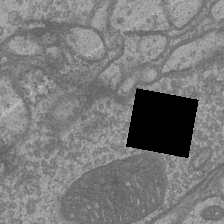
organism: Drosophila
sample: Optic medulla